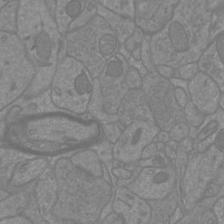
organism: Mouse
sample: Cortical neurons